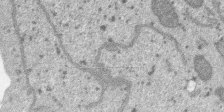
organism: Human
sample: Lung epithelial cells infected with SARS-CoV-2